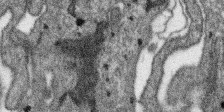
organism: Human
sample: Lung epithelial cells infected with SARS-CoV-2